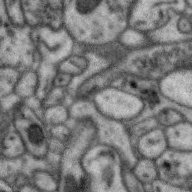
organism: Zebra finch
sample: Brain